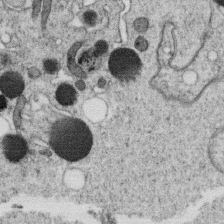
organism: C. elegans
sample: C. elegans oocyte; sperm cells